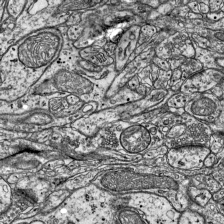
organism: Mouse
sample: Visual Cortex